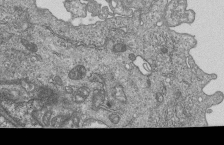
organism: Human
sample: MDA-MB-231 cells